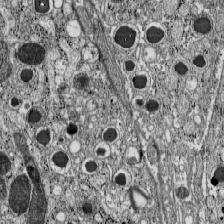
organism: C57BL Mouse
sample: Pancreatic islet